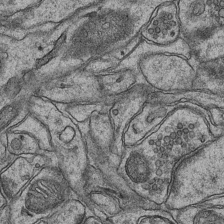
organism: Mouse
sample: CA1 Hippocampus